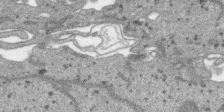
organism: Human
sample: Lung epithelial cells infected with SARS-CoV-2